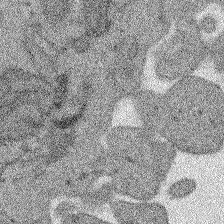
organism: Human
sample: HeLa cells